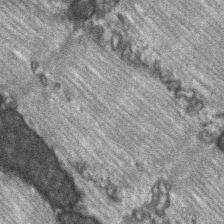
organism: C57BL Mouse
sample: Soleus